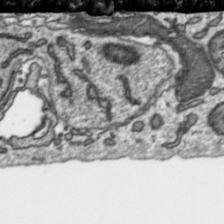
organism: Toxoplasma gondii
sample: Parasites in a vacuole inside a host cell